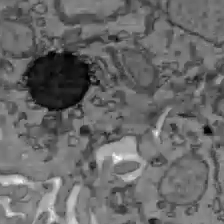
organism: C57BL Mouse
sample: Liver